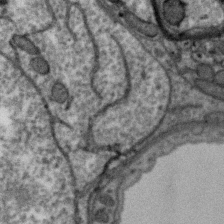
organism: Zebra finch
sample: Brain